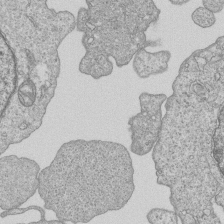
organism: Human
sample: MDA-MB-231 cells